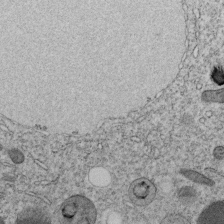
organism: C. elegans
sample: C. elegans embryo early stage